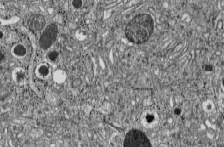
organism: C57BL Mouse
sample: Pancreatic islet